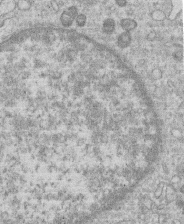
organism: Human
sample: Macrophage cells